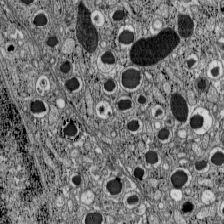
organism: C57BL Mouse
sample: Pancreatic islet